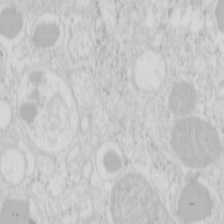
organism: Mouse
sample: Pancreas